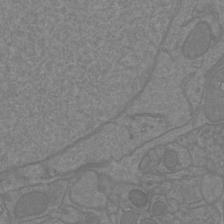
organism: Mouse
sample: Cortical neurons